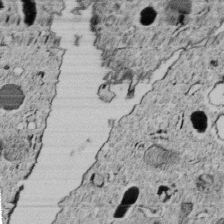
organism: C. elegans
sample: C. elegans embryo early stage